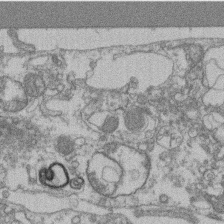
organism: Mouse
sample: T cell stromal cell synapse